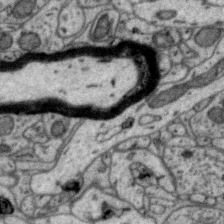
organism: Zebra finch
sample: Brain